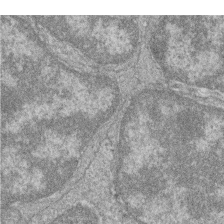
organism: Zebrafish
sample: Cilia; retinal pigment epithelium